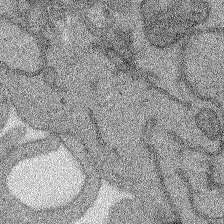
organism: Human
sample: HeLa cells